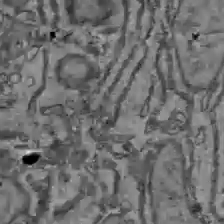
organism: C57BL Mouse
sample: Liver